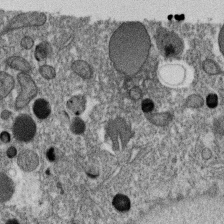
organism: C. elegans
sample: C. elegans oocyte; sperm cells